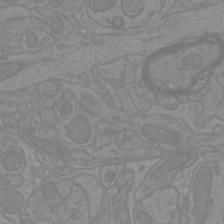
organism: Mouse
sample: Cortical neurons